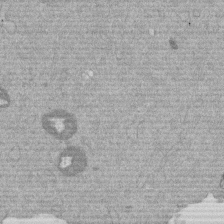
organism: Mouse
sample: Dividing mouse embryo 1 cell stage